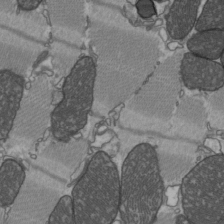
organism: C57BL Mouse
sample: Heart